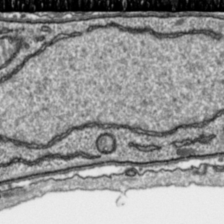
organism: Toxoplasma gondii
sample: Parasites in a vacuole inside a host cell